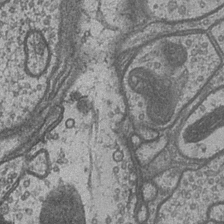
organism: Drosophila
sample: Optic medulla